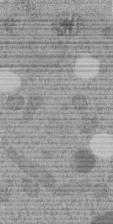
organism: C. elegans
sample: C. elegans embryo early stage